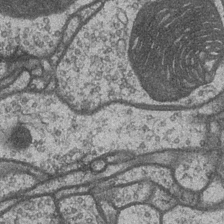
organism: Drosophila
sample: Optic medulla